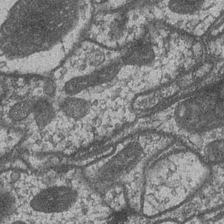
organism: Drosophila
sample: Optic medulla